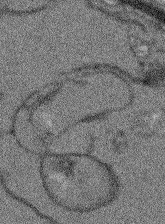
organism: Arabidopsis thaliana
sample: Root tip